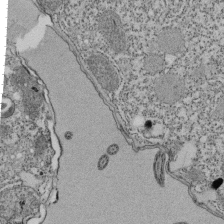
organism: Tetrahymena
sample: Cilia in tetrahymena